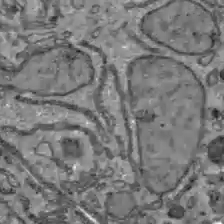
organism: C57BL Mouse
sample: Liver